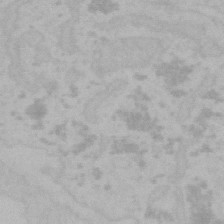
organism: Mouse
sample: Choroid plexus